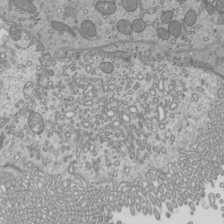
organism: Mouse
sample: Cilia; mouse epididymis